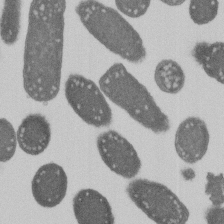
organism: E. coli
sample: Bacterial nucleoid